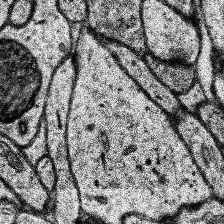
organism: Human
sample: Temporal Lobe